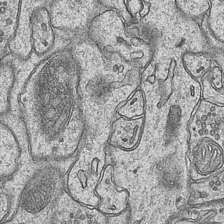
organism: Mouse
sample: CA1 Hippocampus